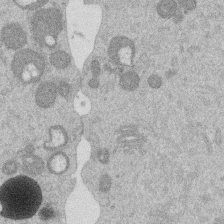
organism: Mouse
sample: Dividing mouse embryo 1 cell stage